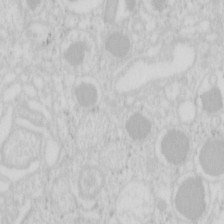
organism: Mouse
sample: Pancreas